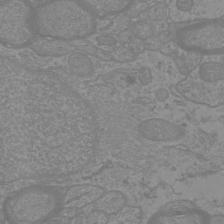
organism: Mouse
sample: Cortical neurons